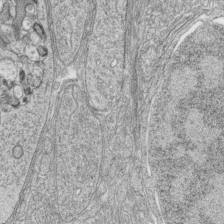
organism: Zebrafish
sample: synaptic ribbons in rod cells and cone cells